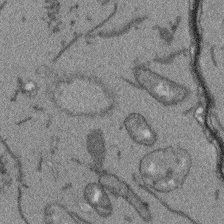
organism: Arabidopsis thaliana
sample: Root tip